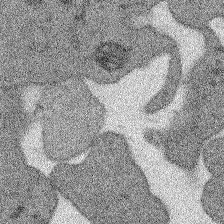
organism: Human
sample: HeLa cells